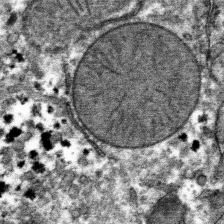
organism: Mouse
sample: Mouse hepatocytes